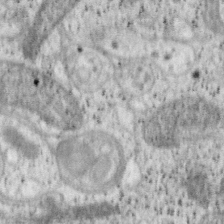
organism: Mouse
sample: OT-I killer T cells with ID8 ovarian cancer cells